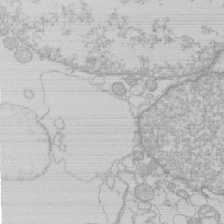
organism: Human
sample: Macrophage cells